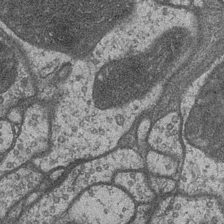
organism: Drosophila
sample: Optic medulla